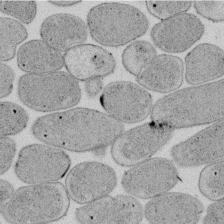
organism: E. coli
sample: Bacterial nucleoid